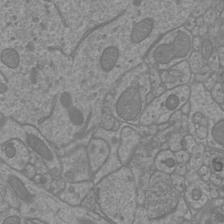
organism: Mouse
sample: Cortical neurons